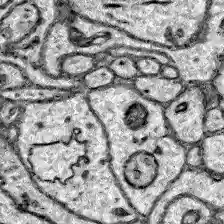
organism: Zebrafish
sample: Brain